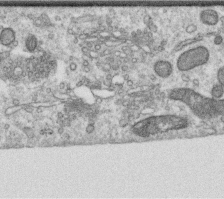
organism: Human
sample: Centriole in RPE cells